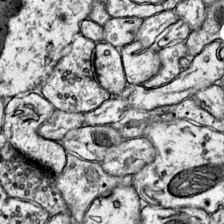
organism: Mouse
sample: Primary visual cortex